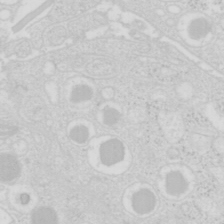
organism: Mouse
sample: Pancreas